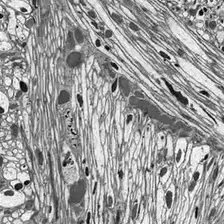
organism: Drosophila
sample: Optic lobe